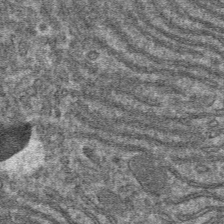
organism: Mouse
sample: Mouse hepatocytes